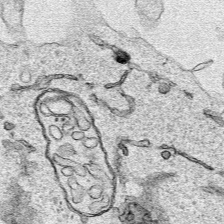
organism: Human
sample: Mitochondria in HCT116 cells